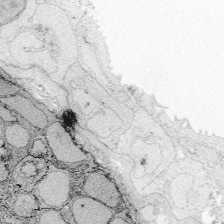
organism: Zebrafish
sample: Whole-Brain